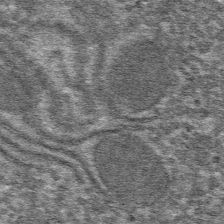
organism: Mouse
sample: Mouse hepatocytes